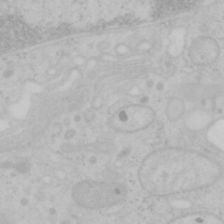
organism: Mouse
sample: OT-I killer T cells with ID8 ovarian cancer cells